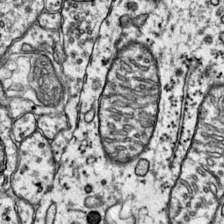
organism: Mouse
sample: Primary visual cortex